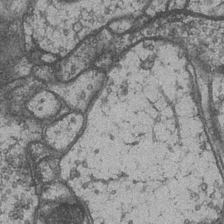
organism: Drosophila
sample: Optic medulla